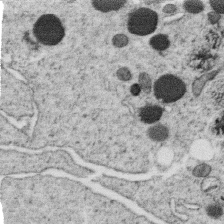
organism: C. elegans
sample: C. elegans oocyte; sperm cells